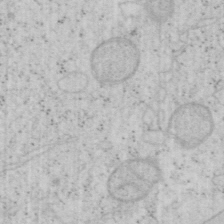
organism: Human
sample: HeLa cells